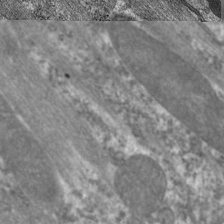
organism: C. elegans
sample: Pharynx